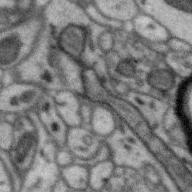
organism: Zebra finch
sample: Brain